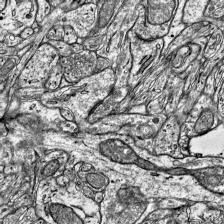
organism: Mouse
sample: Visual Cortex